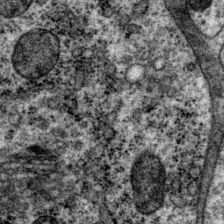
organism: P. pacificus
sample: Pharynx